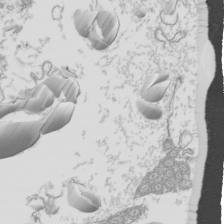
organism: Mouse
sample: Cilia; mouse epididymis